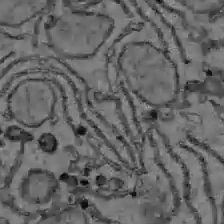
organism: C57BL Mouse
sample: Liver